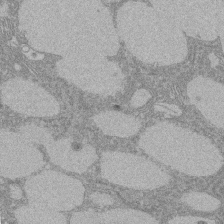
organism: Rat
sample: Salivary granule